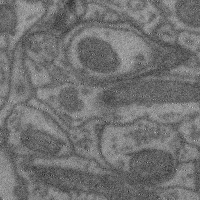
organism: Mouse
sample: Cerebral cortex